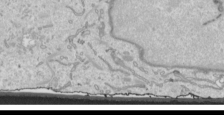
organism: Human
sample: Mitochondria in HCT116 cells